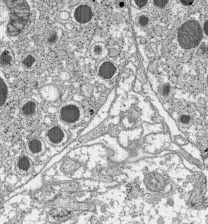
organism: C57BL Mouse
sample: Pancreatic islet